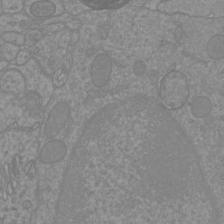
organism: Mouse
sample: Cortical neurons